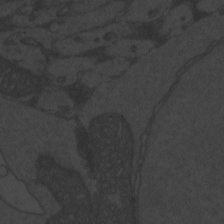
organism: Zebrafish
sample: Macrophage infected with Toxoplasma gondii